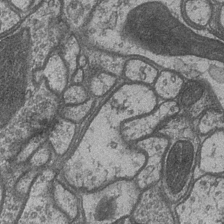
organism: Drosophila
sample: Optic medulla